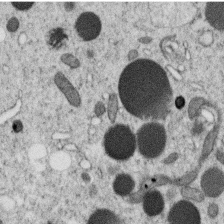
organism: C. elegans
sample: C. elegans oocyte; sperm cells